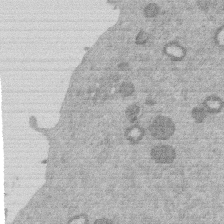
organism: Mouse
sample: Dividing mouse embryo 1 cell stage